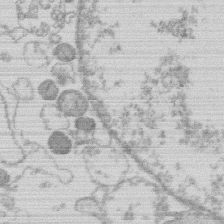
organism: Human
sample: Macrophage cells